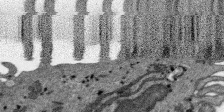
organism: Human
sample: Lung epithelial cells, uninfected (mock) control